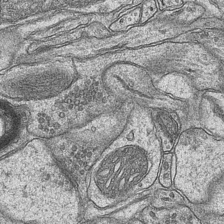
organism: Mouse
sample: CA1 Hippocampus